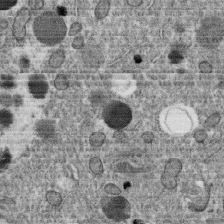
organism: C. elegans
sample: C. elegans oocyte; sperm cells